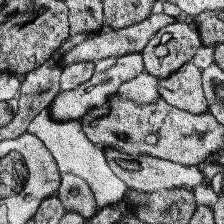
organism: Human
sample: Temporal Lobe